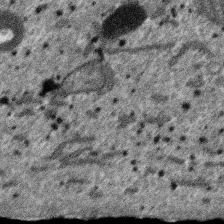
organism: Human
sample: Lung epithelial cells infected with SARS-CoV-2